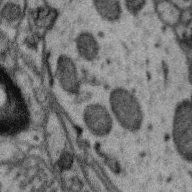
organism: Zebra finch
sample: Brain